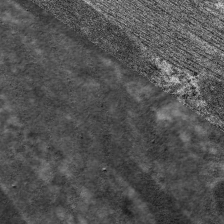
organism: C. elegans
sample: Pharynx